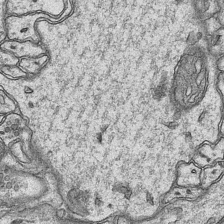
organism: Mouse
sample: CA1 Hippocampus